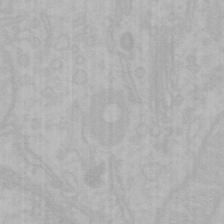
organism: Mouse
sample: Choroid plexus